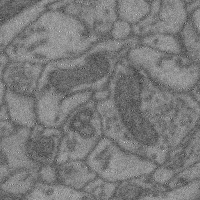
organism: Mouse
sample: Cerebral cortex